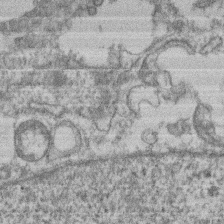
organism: Mouse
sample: T cell stromal cell synapse